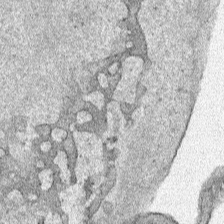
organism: Human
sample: Mitochondria in HCT116 cells